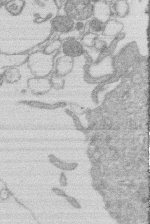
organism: Human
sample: Macrophage cells